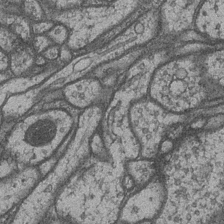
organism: Drosophila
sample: Optic medulla